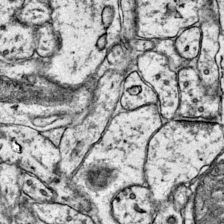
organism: Mouse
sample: Primary visual cortex